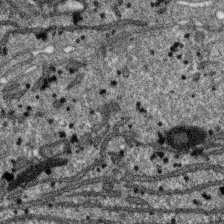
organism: Human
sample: Lung epithelial cells infected with SARS-CoV-2